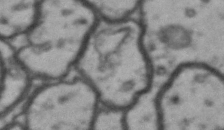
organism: Drosophila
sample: Brain